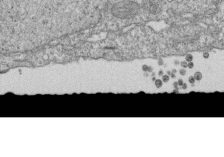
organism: Human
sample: HeLa cell HIV synapse